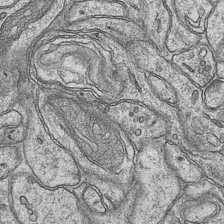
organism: Mouse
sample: CA1 Hippocampus